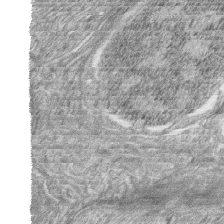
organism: Zebrafish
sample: synaptic ribbons in rod cells and cone cells